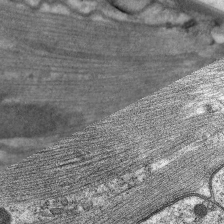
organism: C. elegans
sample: Pharynx